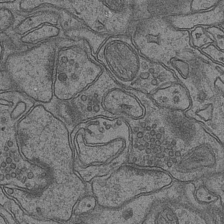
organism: Mouse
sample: CA1 Hippocampus